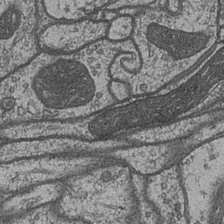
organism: Drosophila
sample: Optic medulla